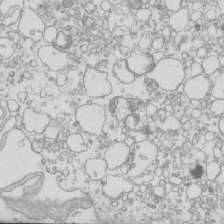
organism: Mouse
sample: Macrophages